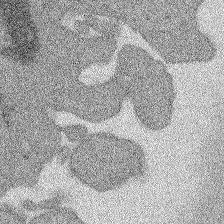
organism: Human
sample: HeLa cells